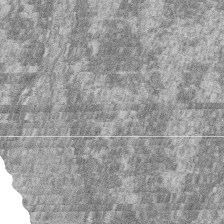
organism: Zebrafish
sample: Cilia; retinal pigment epithelium